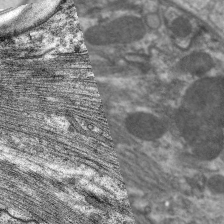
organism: C. elegans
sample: Pharynx